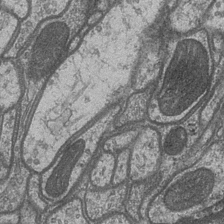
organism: Drosophila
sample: Optic medulla